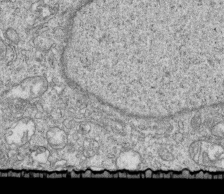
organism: Human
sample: HeLa cell HIV synapse